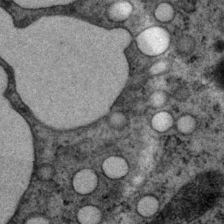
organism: P. pacificus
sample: Pharynx